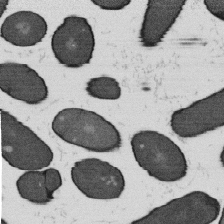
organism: B. subtilis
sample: Bacterial spore